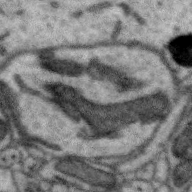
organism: Zebra finch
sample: Brain